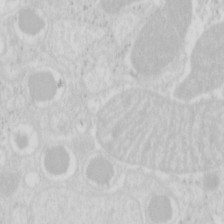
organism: Mouse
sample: Pancreas